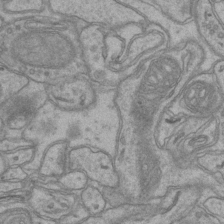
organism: Mouse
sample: CA1 Hippocampus